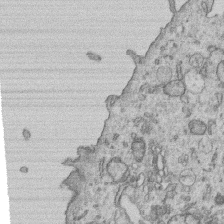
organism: Human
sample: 1205lu cells